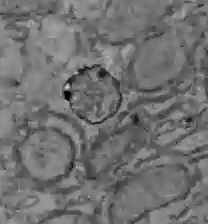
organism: C57BL Mouse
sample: Liver